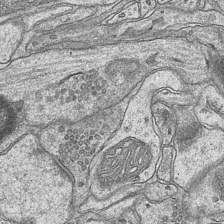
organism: Mouse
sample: CA1 Hippocampus